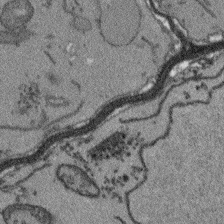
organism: Arabidopsis thaliana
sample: Root tip